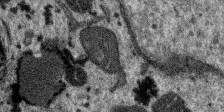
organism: Human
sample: Lung epithelial cells infected with SARS-CoV-2